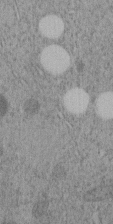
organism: C. elegans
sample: C. elegans embryo early stage